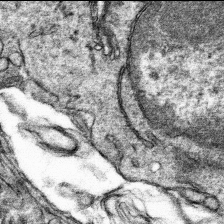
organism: Mouse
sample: Mouse hepatocytes